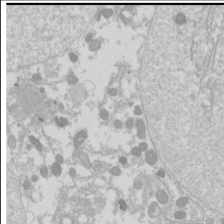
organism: Drosophila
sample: Cell division; meiosis; drosophila spermatocytes